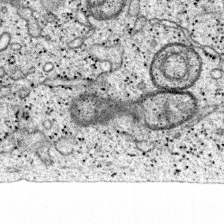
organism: Human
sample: HeLa cells